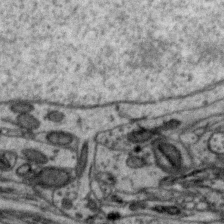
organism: Zebra finch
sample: Brain